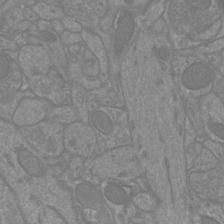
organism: Mouse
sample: Cortical neurons